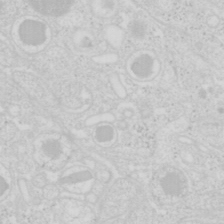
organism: Mouse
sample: Pancreas